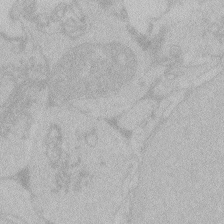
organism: Zebrafish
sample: Macrophage infected with Toxoplasma gondii